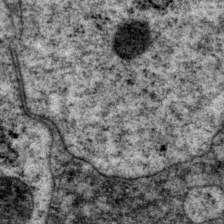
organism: P. pacificus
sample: Pharynx